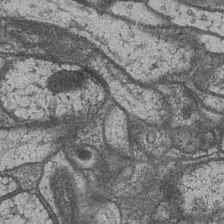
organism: Drosophila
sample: Optic medulla